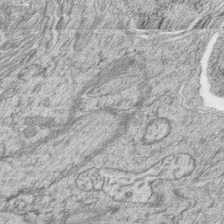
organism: Zebrafish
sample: synaptic ribbons in rod cells and cone cells